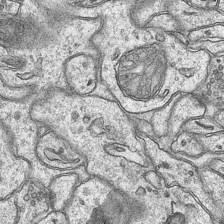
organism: Mouse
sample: CA1 Hippocampus